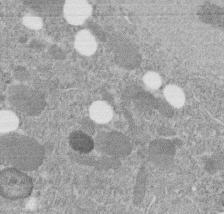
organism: C. elegans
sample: C. elegans embryo early stage